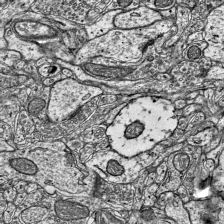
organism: Mouse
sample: Visual Cortex